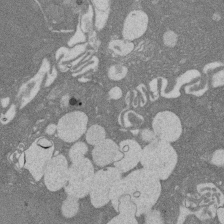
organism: Rat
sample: Salivary granule